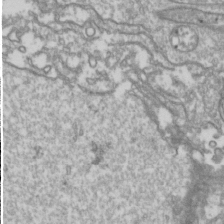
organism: Drosophila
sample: Cell division; meiosis; drosophila spermatocytes